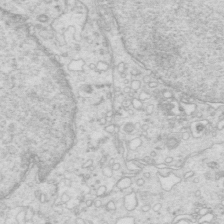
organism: Mouse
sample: Multiciliated cells